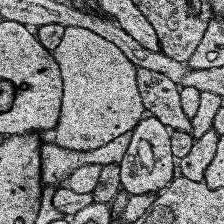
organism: Human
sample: Temporal Lobe